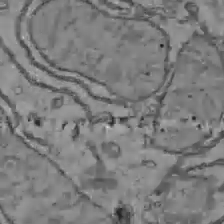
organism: C57BL Mouse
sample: Liver